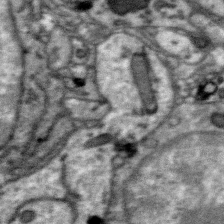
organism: Zebra finch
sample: Brain